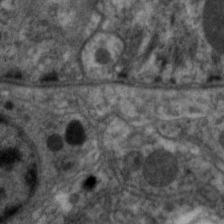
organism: C. elegans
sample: Pharynx